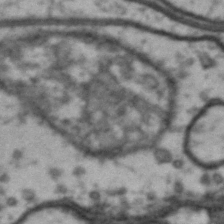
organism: Drosophila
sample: Brain